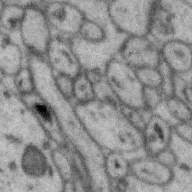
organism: Zebra finch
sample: Brain